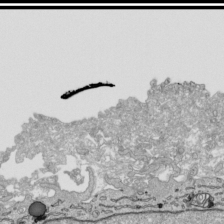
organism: Human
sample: Mitochondria in HCT116 cells